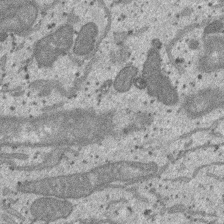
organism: Human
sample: Lung epithelial cells infected with SARS-CoV-2